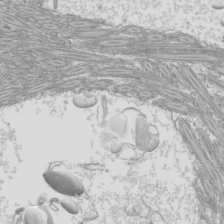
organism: Mouse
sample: Cilia; mouse epididymis